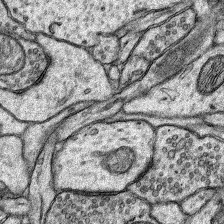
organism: Rat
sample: Hippocampus